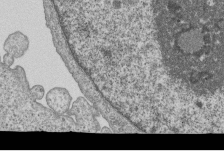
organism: Human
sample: MDA-MB-231 cells